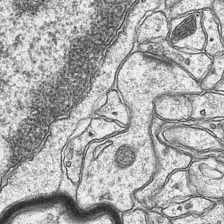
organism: Mouse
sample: CA1 Hippocampus